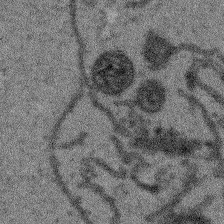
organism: Arabidopsis thaliana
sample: Root tip